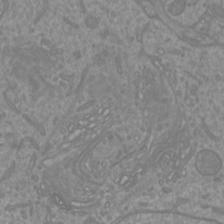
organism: Mouse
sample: Cortical neurons